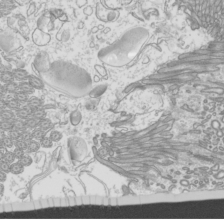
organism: Mouse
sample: Cilia; mouse epididymis